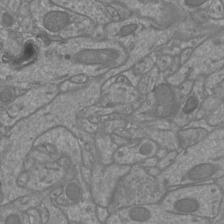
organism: Mouse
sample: Cortical neurons